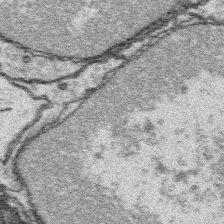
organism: Platynereis dumerilii